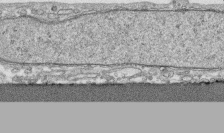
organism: Human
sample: CRL-1474